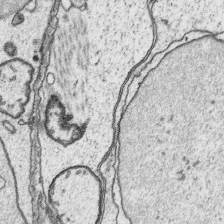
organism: Platynereis dumerilii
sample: Parapodia